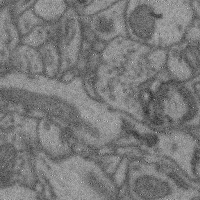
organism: Mouse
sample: Cerebral cortex